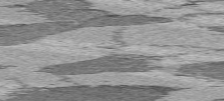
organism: C57BL Mouse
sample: Heart